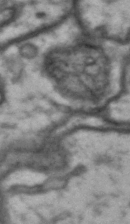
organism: Drosophila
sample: Brain